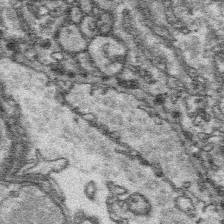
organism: Platynereis dumerilii